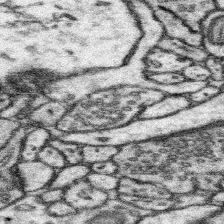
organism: Mouse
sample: Somatosensory cortex neuropil